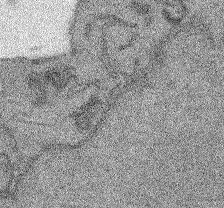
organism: Human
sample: HeLa cells